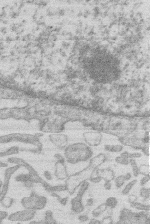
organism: Human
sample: Macrophage cells